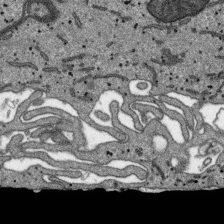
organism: Human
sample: Lung epithelial cells, uninfected (mock) control